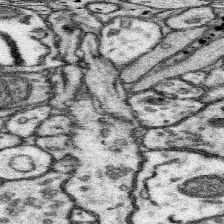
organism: Mouse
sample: Somatosensory cortex neuropil